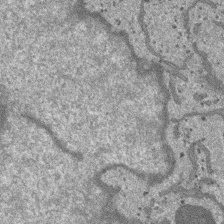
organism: Human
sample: Lung epithelial cells infected with SARS-CoV-2